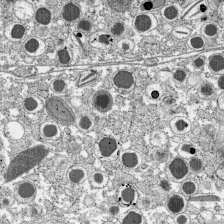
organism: C57BL Mouse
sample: Pancreatic islet